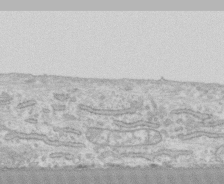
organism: Human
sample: CRL-1474